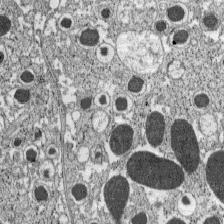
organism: C57BL Mouse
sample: Pancreatic islet